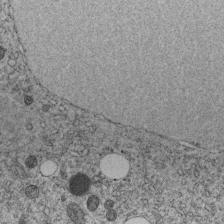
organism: C. elegans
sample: C. elegans embryo early stage